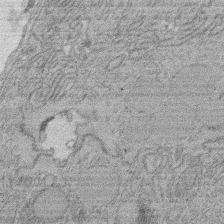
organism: Rat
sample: Salivary granule